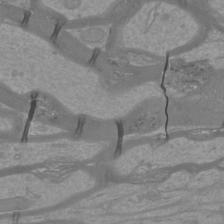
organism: Mouse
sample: Cortical neurons